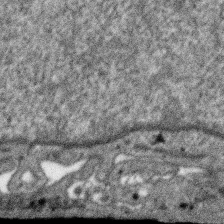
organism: Human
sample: Lung epithelial cells infected with SARS-CoV-2